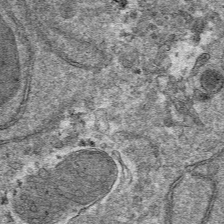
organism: Mouse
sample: Mouse hepatocytes